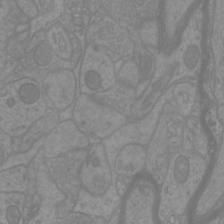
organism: Mouse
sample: Cortical neurons